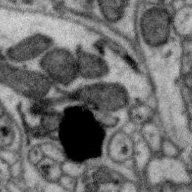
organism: Zebra finch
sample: Brain